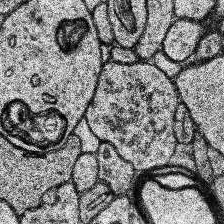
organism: Human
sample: Temporal Lobe